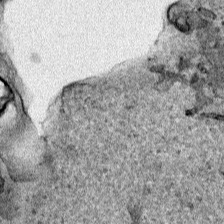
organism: Human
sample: Mitochondria in HCT116 cells